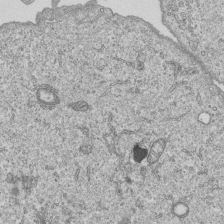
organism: Human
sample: MDA-MB-231 cells